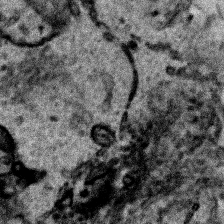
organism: Human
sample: Mitochondria in HCT116 cells